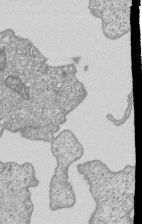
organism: Human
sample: MDA-MB-231 cells